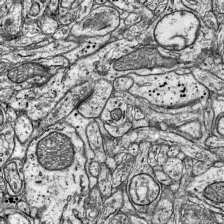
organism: Mouse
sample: Visual Cortex